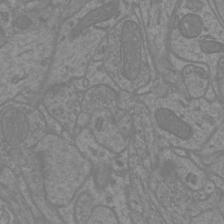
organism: Mouse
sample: Cortical neurons